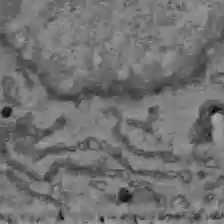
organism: C57BL Mouse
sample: Liver